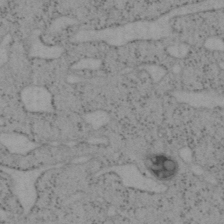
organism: Mouse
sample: OT-I killer T cells with ID8 ovarian cancer cells